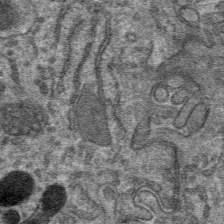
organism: Mouse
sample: Mouse hepatocytes